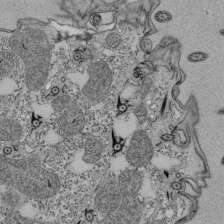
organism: Tetrahymena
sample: Cilia in tetrahymena